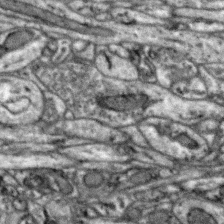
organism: Zebra finch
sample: Brain